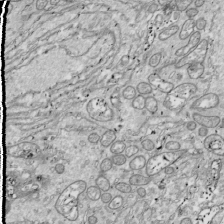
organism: Drosophila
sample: Cell division; meiosis; drosophila spermatocytes